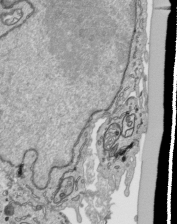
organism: Human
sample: Mitochondria in HCT116 cells